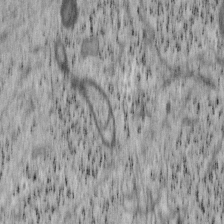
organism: Human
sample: HeLa cells